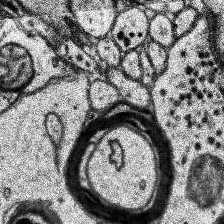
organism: Human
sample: Temporal Lobe